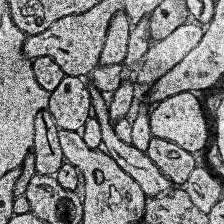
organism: Human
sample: Temporal Lobe